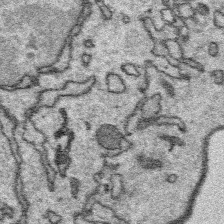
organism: Platynereis dumerilii